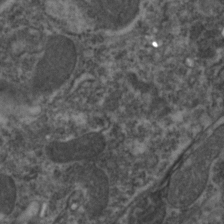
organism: Zebrafish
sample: Zebrafish embryo